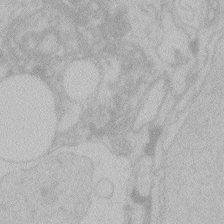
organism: Zebrafish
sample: Macrophage infected with Toxoplasma gondii